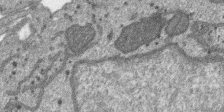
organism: Human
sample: Lung epithelial cells infected with SARS-CoV-2